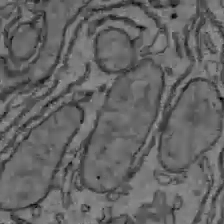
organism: C57BL Mouse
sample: Liver